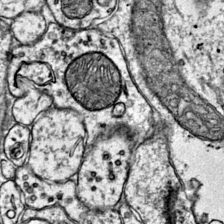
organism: Mouse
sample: Primary visual cortex